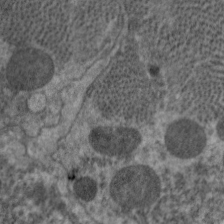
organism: C. elegans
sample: Pharynx